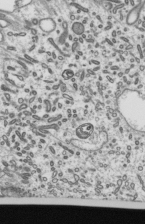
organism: Mouse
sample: Mouse epididymis efferent ductule cilia